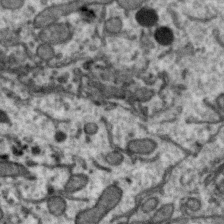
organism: Zebra finch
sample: Brain